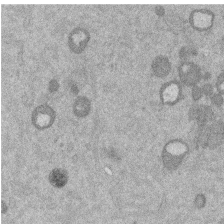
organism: Mouse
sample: Dividing mouse embryo 1 cell stage